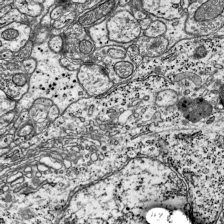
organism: Mouse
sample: Visual Cortex